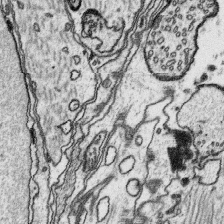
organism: Platynereis dumerilii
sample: Parapodia